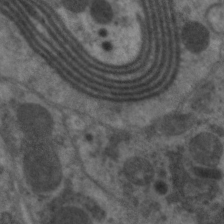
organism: C. elegans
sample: Pharynx